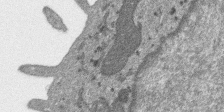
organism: Human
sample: Lung epithelial cells infected with SARS-CoV-2